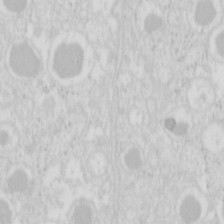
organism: Mouse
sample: Pancreas